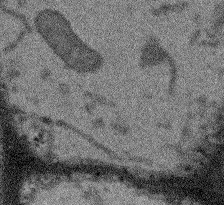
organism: Arabidopsis thaliana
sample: Root tip